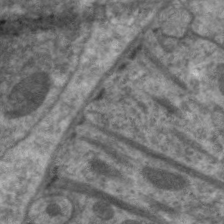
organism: C. elegans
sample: Pharynx